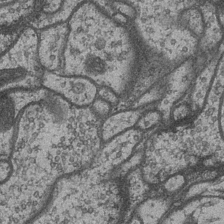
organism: Drosophila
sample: Optic medulla